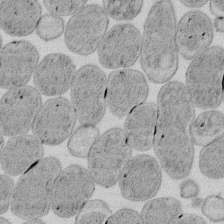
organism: E. coli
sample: Bacterial nucleoid